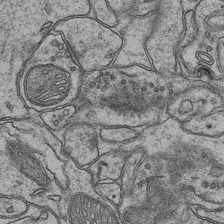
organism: Mouse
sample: CA1 Hippocampus